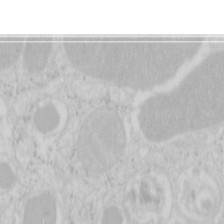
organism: Mouse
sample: Pancreas